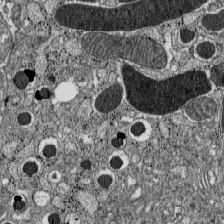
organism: C57BL Mouse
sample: Pancreatic islet